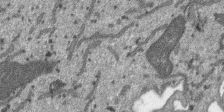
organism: Human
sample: Lung epithelial cells infected with SARS-CoV-2